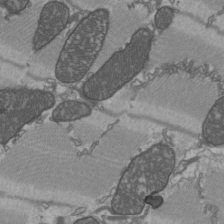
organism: C57BL Mouse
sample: Heart